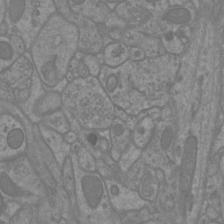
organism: Mouse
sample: Cortical neurons